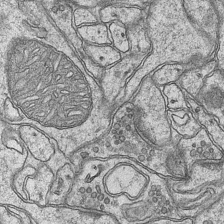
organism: Mouse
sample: CA1 Hippocampus